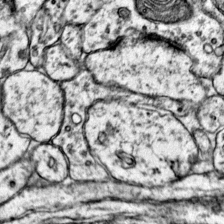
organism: Mouse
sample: Primary visual cortex